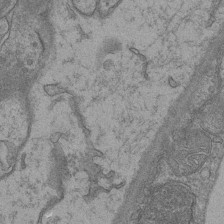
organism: Mouse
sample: CA1 Hippocampus